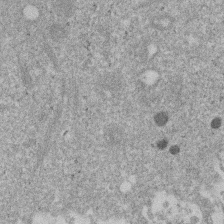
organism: Mouse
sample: Dividing mouse embryo 1 cell stage